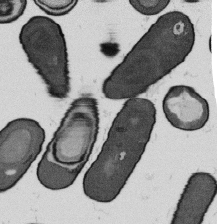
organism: B. subtilis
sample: Bacterial spore